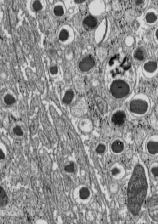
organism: C57BL Mouse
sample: Pancreatic islet